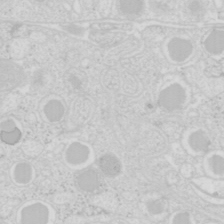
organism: Mouse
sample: Pancreas